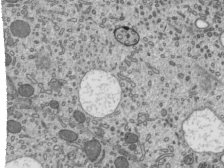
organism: Mouse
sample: Mouse epididymis efferent ductule cilia